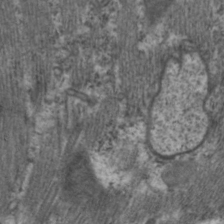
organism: C. elegans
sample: Pharynx